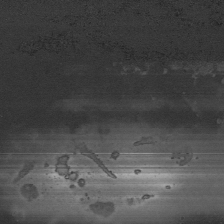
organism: Human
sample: Mitochondria in HCT116 cells